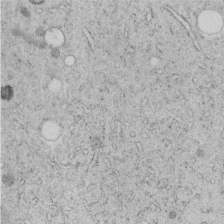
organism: C. elegans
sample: C. elegans embryo early stage